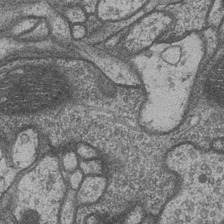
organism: Drosophila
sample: Optic medulla